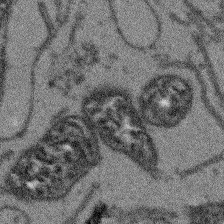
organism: Arabidopsis thaliana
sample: Root tip